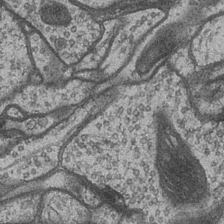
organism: Drosophila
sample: Optic medulla